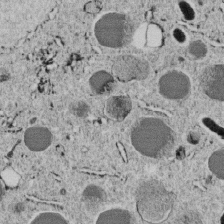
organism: C. elegans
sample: C. elegans embryo early stage